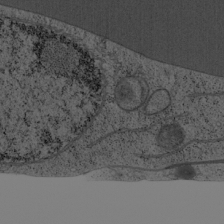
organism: African green monkey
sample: COS-7 cells